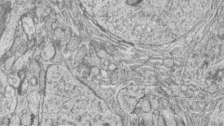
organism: Zebrafish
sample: synaptic ribbons in rod cells and cone cells